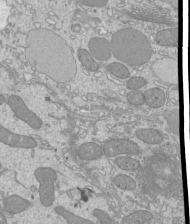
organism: Mouse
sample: Cilia; mouse epididymis